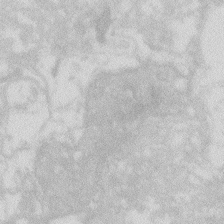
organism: Zebrafish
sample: Macrophage